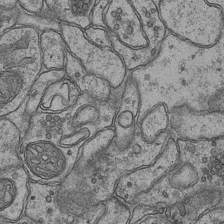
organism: Mouse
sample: CA1 Hippocampus